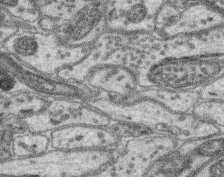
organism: Mouse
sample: Retina